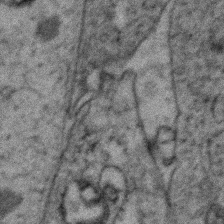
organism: Zebrafish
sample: Zebrafish embryo